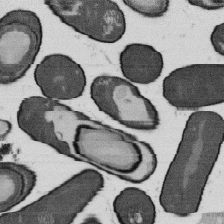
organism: B. subtilis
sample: Bacterial spore